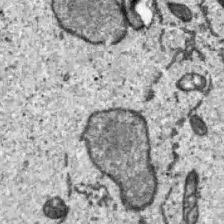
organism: Human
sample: HeLa cells